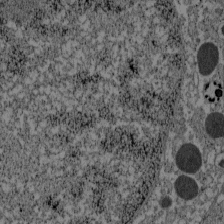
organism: C57BL Mouse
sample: Pancreatic islet